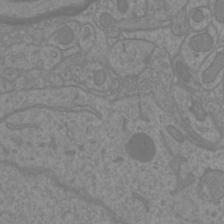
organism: Mouse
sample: Cortical neurons